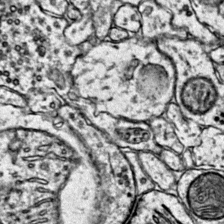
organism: Mouse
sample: Primary visual cortex